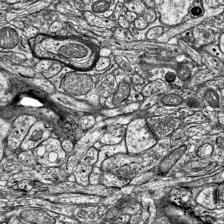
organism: Mouse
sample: Visual Cortex